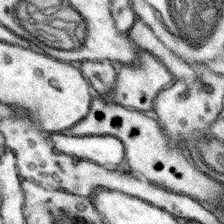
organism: Mouse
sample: Somatosensory cortex neuropil